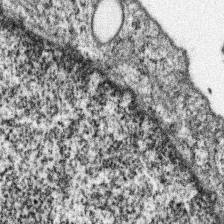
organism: Human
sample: HeLa cells